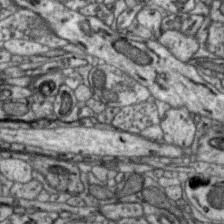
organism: Zebra finch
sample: Brain